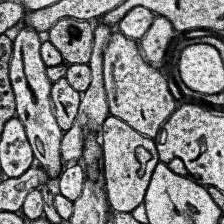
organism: Human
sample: Temporal Lobe